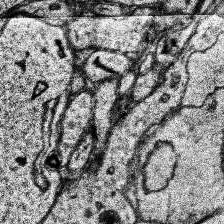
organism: Human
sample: Temporal Lobe